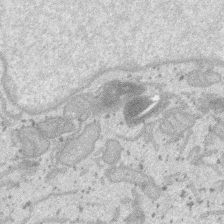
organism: Human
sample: Lung epithelial cells infected with SARS-CoV-2